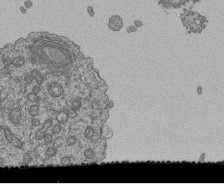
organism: Human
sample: Retinal organoid Rod and Cone cells